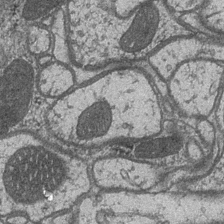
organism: Drosophila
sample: Optic medulla